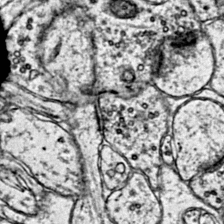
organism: Mouse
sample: Primary visual cortex